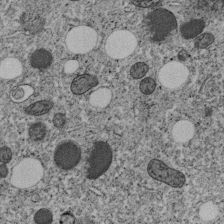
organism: C. elegans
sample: C. elegans embryo early stage